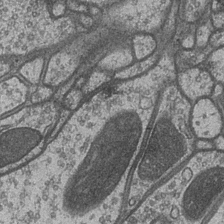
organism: Drosophila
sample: Optic medulla